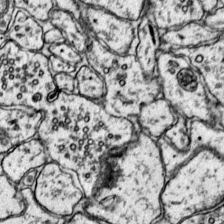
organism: Mouse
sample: Primary visual cortex